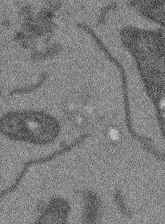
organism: Arabidopsis thaliana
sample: Root tip